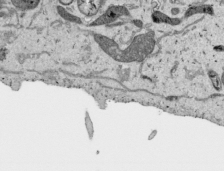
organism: Human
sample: Mitochondria in HCT116 cells